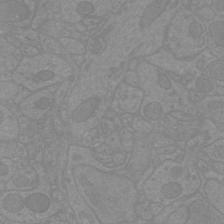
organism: Mouse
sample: Cortical neurons